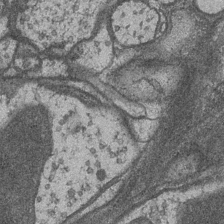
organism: Drosophila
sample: Optic medulla